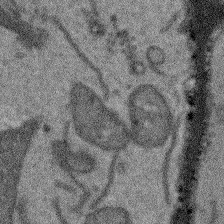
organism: Arabidopsis thaliana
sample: Root tip